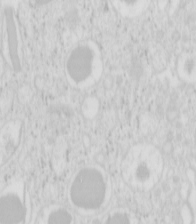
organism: Mouse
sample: Pancreas